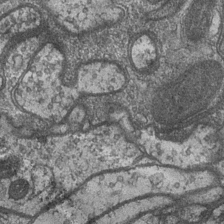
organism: Drosophila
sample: Optic medulla